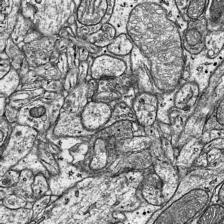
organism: Mouse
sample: Visual Cortex